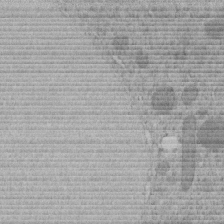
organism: C. elegans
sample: C. elegans embryo early stage